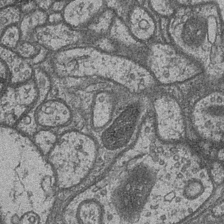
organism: Drosophila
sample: Optic medulla